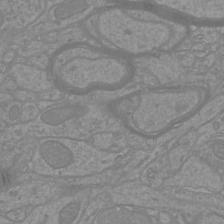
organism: Mouse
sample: Cortical neurons